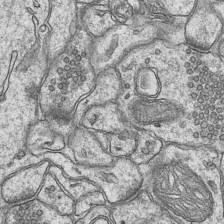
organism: Mouse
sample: CA1 Hippocampus